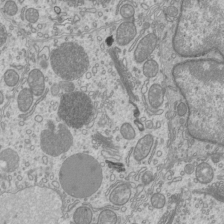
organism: Mouse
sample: Cilia; mouse epididymis